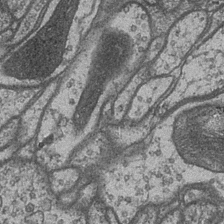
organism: Drosophila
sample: Optic medulla